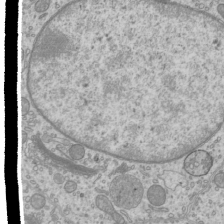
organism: Mouse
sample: Cilia; mouse epididymis